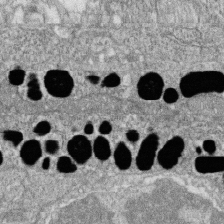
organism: Zebrafish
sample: Cilia; retinal pigment epithelium